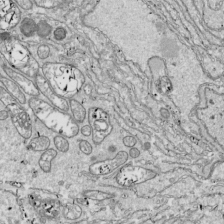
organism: Drosophila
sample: Cell division; meiosis; drosophila spermatocytes